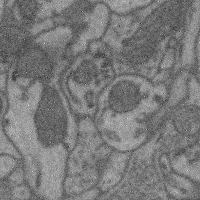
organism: Mouse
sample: Cerebral cortex